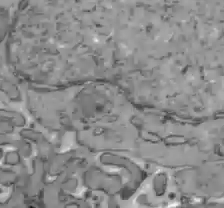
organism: C57BL Mouse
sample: Liver